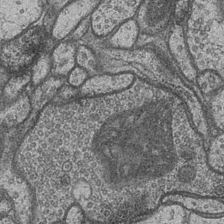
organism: Drosophila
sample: Optic medulla